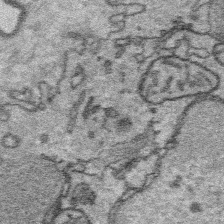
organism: Platynereis dumerilii